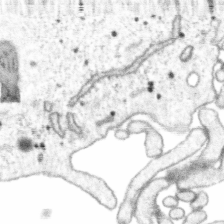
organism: Human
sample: HeLa cells